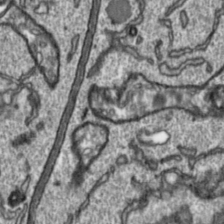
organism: Toxoplasma gondii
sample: Parasites in a vacuole inside a host cell